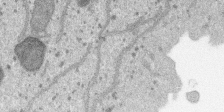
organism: Human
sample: Lung epithelial cells infected with SARS-CoV-2